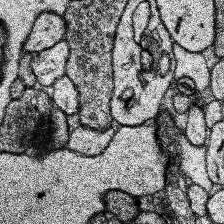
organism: Human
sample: Temporal Lobe